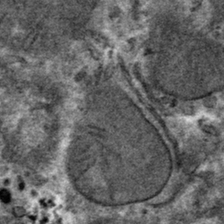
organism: Mouse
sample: Mouse hepatocytes